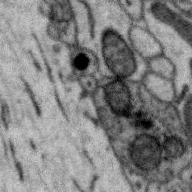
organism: Zebra finch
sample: Brain